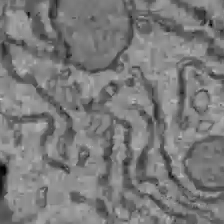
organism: C57BL Mouse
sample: Liver